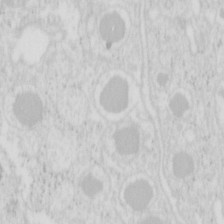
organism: Mouse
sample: Pancreas